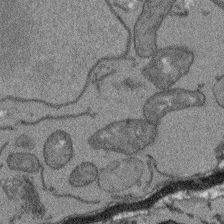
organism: Arabidopsis thaliana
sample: Root tip